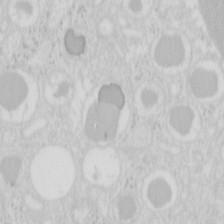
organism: Mouse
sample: Pancreas